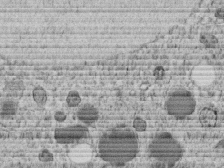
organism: C. elegans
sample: C. elegans embryo early stage